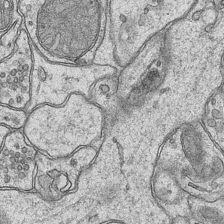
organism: Mouse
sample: CA1 Hippocampus